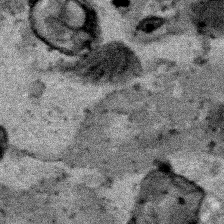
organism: Human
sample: Mitochondria in HCT116 cells